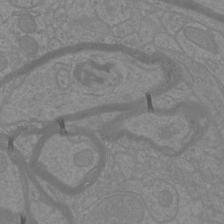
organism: Mouse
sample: Cortical neurons